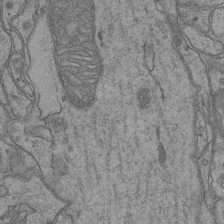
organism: Mouse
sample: CA1 Hippocampus